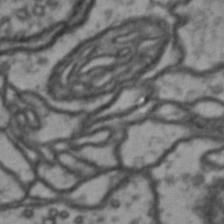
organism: Drosophila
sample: Brain